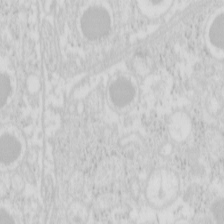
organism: Mouse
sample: Pancreas